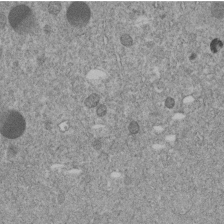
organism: C. elegans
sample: C. elegans embryo early stage